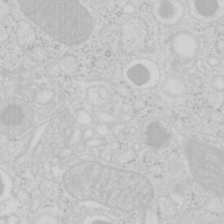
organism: Mouse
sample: Pancreas